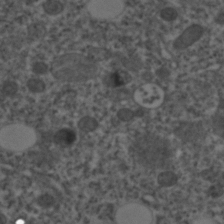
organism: C. elegans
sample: C. elegans embryo